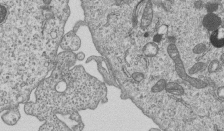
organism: Human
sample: MDA-MB-231 cells